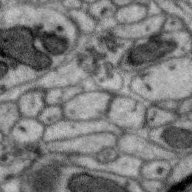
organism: Zebra finch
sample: Brain